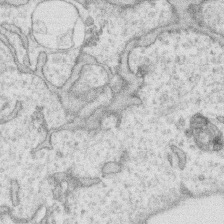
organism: Human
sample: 1205lu cells